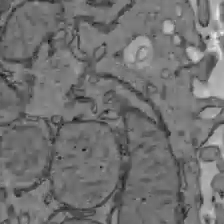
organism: C57BL Mouse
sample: Liver